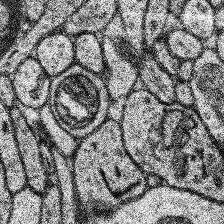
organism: Human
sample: Temporal Lobe